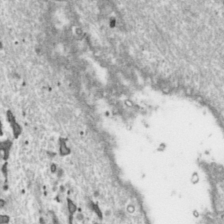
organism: Toxoplasma gondii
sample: Parasites in a vacuole inside a host cell